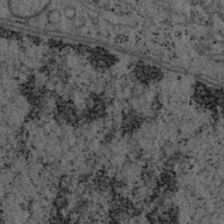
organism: Human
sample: HeLa cells